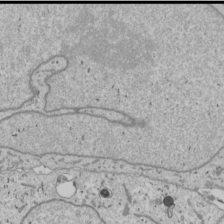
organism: Human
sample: Mitochondria in U2OS cells